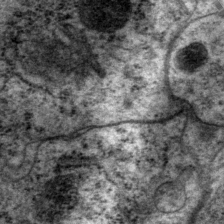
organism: P. pacificus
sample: Pharynx